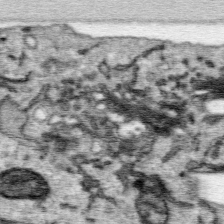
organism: Human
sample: HeLa cells